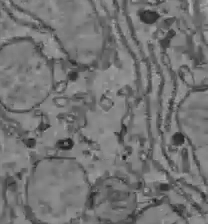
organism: C57BL Mouse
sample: Liver